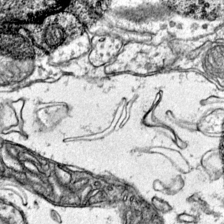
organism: Mouse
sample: Primary visual cortex